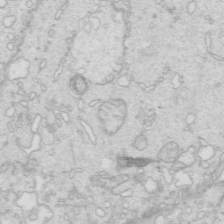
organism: Mouse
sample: Multiciliated cells